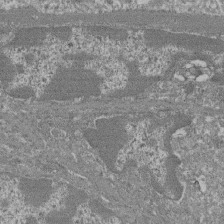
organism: Mouse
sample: Glomerulus